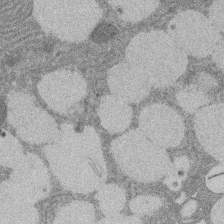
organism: Rat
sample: Salivary granule